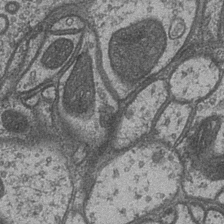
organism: Drosophila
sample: Optic medulla